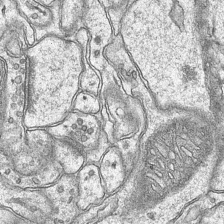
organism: Mouse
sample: CA1 Hippocampus